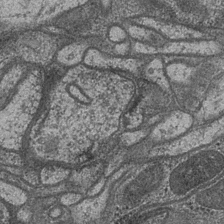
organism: Drosophila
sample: Optic medulla